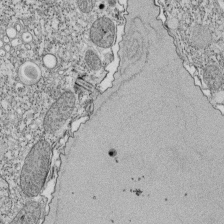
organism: Tetrahymena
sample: Cilia in tetrahymena